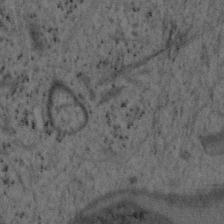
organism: Human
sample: HeLa cells